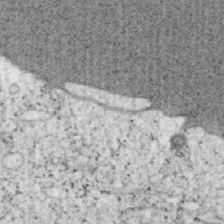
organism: Mouse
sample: OT-I killer T cells with ID8 ovarian cancer cells